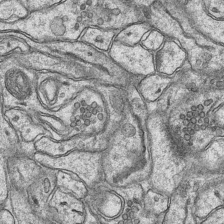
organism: Mouse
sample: CA1 Hippocampus